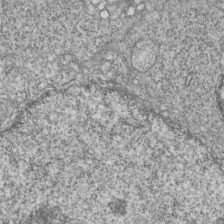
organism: Zebrafish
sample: Cilia; retinal pigment epithelium